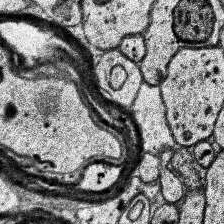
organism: Human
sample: Temporal Lobe